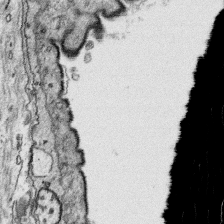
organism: Platynereis dumerilii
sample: Parapodia